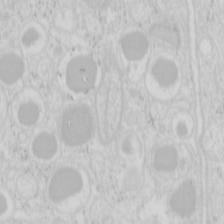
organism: Mouse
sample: Pancreas